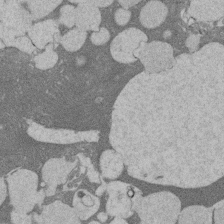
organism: Rat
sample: Salivary granule